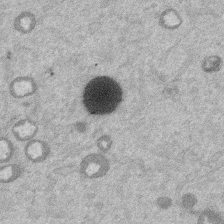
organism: Mouse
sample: Dividing mouse embryo 1 cell stage